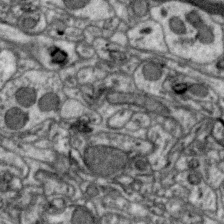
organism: Zebra finch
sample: Brain